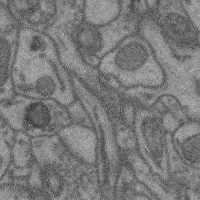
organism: Mouse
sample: Cerebral cortex